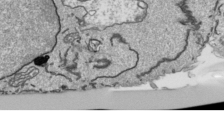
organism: Human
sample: Mitochondria in HCT116 cells